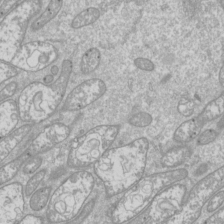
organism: Drosophila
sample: Cell division; meiosis; drosophila spermatocytes